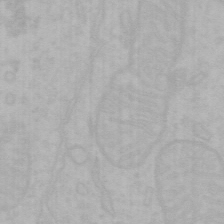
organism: Mouse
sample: Choroid plexus